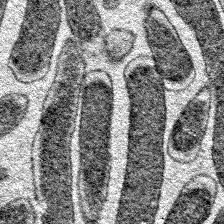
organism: E. coli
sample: E. Coli Bacteria